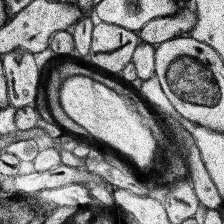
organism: Human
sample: Temporal Lobe